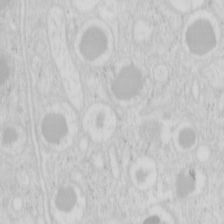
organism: Mouse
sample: Pancreas